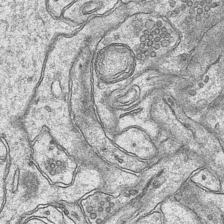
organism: Mouse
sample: CA1 Hippocampus